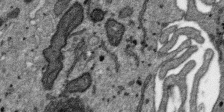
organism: Human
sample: Lung epithelial cells, uninfected (mock) control